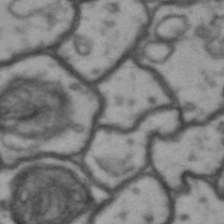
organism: Drosophila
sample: Brain